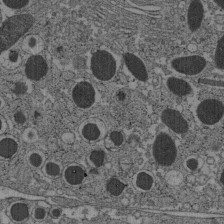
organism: C57BL Mouse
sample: Pancreatic islet